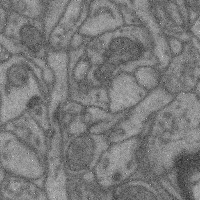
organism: Mouse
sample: Cerebral cortex